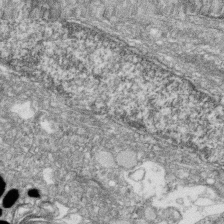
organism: Zebrafish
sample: Cilia; retinal pigment epithelium